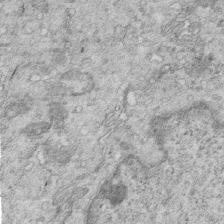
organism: Mouse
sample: Multiciliated cells